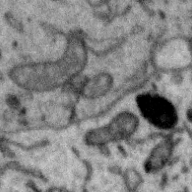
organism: Zebra finch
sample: Brain